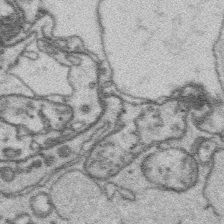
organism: Platynereis dumerilii